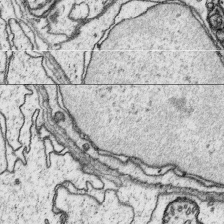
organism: Platynereis dumerilii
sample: Parapodia